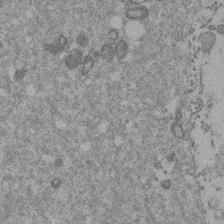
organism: Mouse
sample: Dividing mouse embryo 1 cell stage